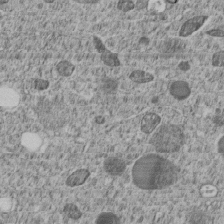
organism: C. elegans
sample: C. elegans embryo early stage